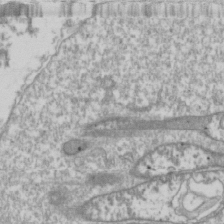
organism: Drosophila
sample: Cell division; meiosis; drosophila spermatocytes